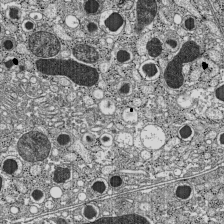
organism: C57BL Mouse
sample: Pancreatic islet